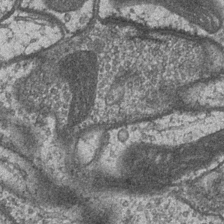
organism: Drosophila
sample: Optic medulla